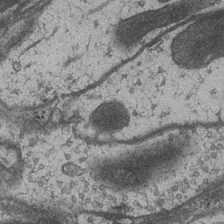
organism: Drosophila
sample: Optic medulla